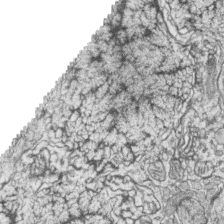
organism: Zebrafish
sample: synaptic ribbons in rod cells and cone cells